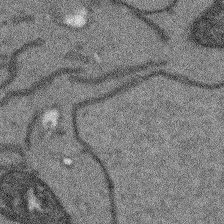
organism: Arabidopsis thaliana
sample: Root tip